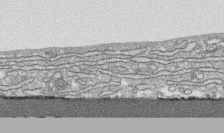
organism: Human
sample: CRL-1474